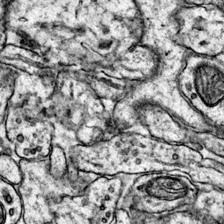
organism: Mouse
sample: Primary visual cortex